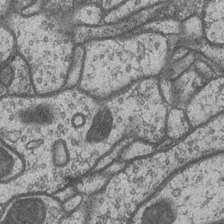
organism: Drosophila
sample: Optic medulla